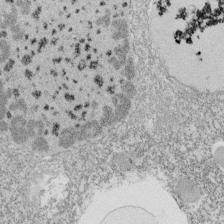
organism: Tetrahymena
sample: Cilia in tetrahymena